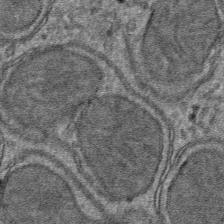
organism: Mouse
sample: Mouse hepatocytes